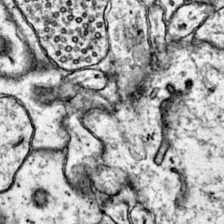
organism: Mouse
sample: Primary visual cortex